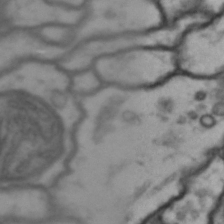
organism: Drosophila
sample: Brain